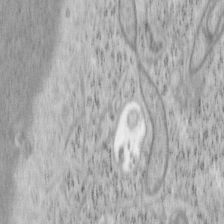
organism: Human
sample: HeLa cells